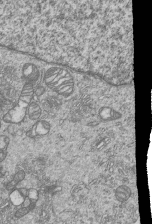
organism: Human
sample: MDA-MB-231 cells